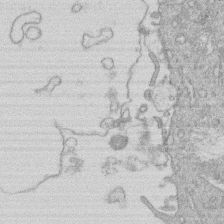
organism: Human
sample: Macrophage cells